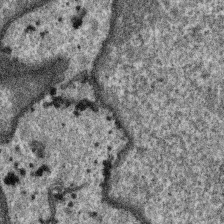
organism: Human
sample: Lung epithelial cells infected with SARS-CoV-2